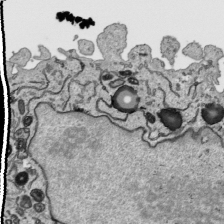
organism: Human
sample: Mitochondria in HCT116 cells